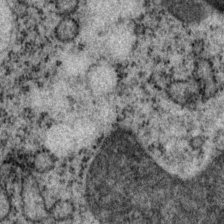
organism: P. pacificus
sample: Pharynx